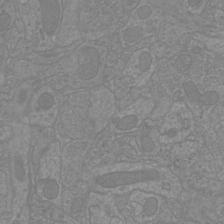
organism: Mouse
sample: Cortical neurons